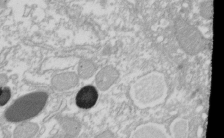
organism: Xenopus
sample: Cilia; centrioles in frog embryo cells